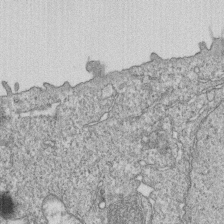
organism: Human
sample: HeLa cell HIV synapse